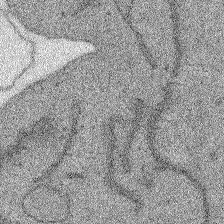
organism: Human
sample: HeLa cells